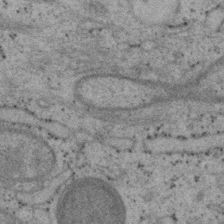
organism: Human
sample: HeLa cells